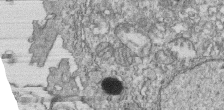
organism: Human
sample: HeLa cell HIV synapse